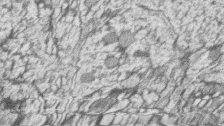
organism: Zebrafish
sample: synaptic ribbons in rod cells and cone cells